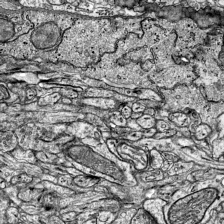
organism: Mouse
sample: Visual Cortex